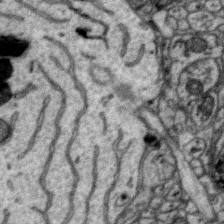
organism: Zebra finch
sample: Brain